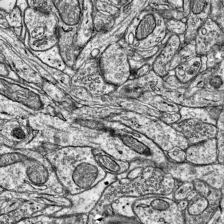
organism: Mouse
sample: Visual Cortex